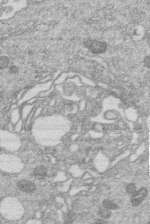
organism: Human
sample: Macrophage cells